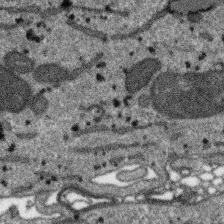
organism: Human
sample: Lung epithelial cells infected with SARS-CoV-2